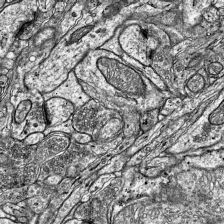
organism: Mouse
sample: Visual Cortex